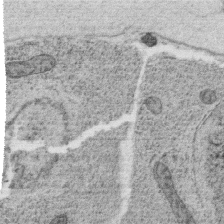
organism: C. elegans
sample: C. elegans oocyte; sperm cells